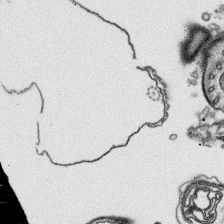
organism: Platynereis dumerilii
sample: Parapodia